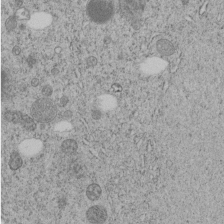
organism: C. elegans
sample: C. elegans embryo early stage